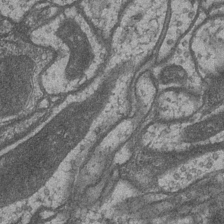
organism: Drosophila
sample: Optic medulla